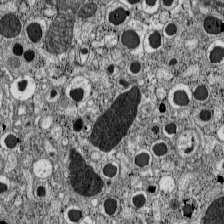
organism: C57BL Mouse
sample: Pancreatic islet